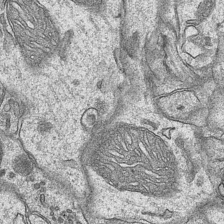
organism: Mouse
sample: CA1 Hippocampus